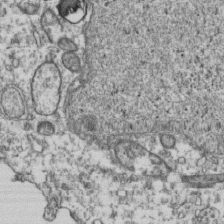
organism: Human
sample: Activated Jurkat CD4+ T cells